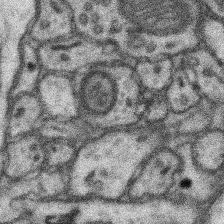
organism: Mouse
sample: Somatosensory cortex neuropil